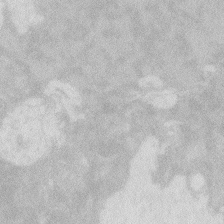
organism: Zebrafish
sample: Macrophage